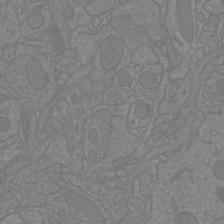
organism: Mouse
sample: Cortical neurons